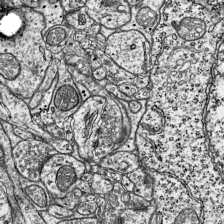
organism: Mouse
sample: Visual Cortex